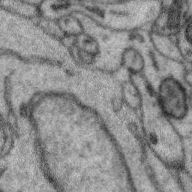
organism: Zebra finch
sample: Brain